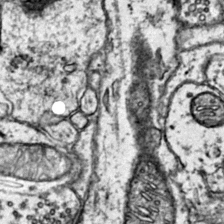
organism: Mouse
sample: Primary visual cortex